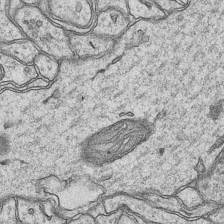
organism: Mouse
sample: CA1 Hippocampus